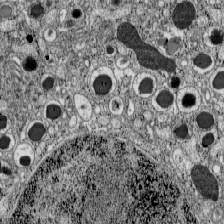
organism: C57BL Mouse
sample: Pancreatic islet